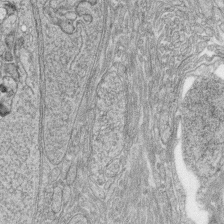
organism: Zebrafish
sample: synaptic ribbons in rod cells and cone cells